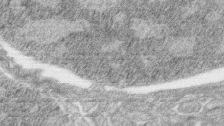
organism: Zebrafish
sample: synaptic ribbons in rod cells and cone cells